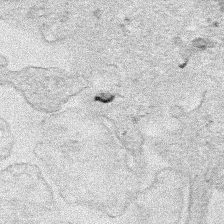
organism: Human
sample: Mitochondria in HCT116 cells